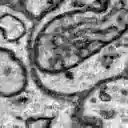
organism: Zebrafish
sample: Brain